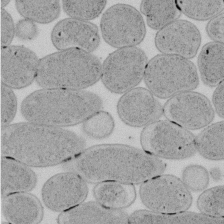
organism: E. coli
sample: Bacterial nucleoid